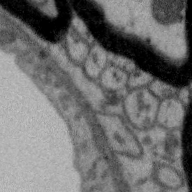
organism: Zebra finch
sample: Brain